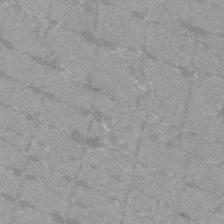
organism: C57BL Mouse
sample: Tibialis anterior muscle cell